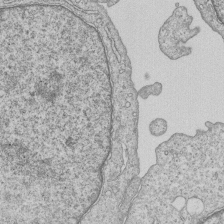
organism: Human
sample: MDA-MB-231 cells